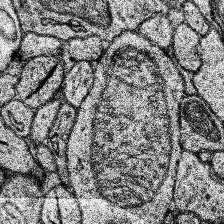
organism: Human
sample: Temporal Lobe